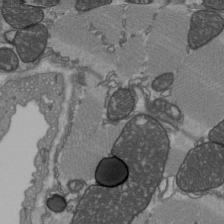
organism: C57BL Mouse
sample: Heart